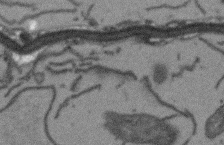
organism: Arabidopsis thaliana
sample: Root tip